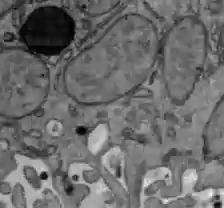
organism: C57BL Mouse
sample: Liver